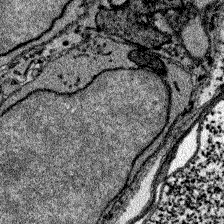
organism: Zebrafish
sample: Larval olfactory bulb